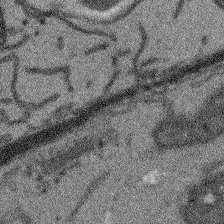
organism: Arabidopsis thaliana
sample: Root tip